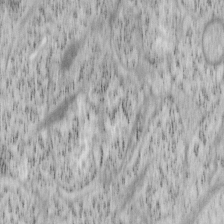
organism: Human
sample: HeLa cells